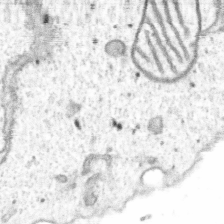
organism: Human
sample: HeLa cells